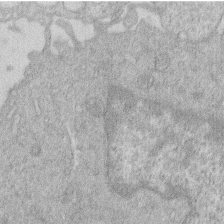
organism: Human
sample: Macrophage cells